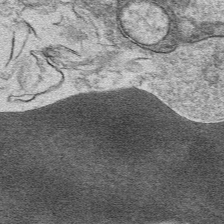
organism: Mouse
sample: Mouse hepatocytes